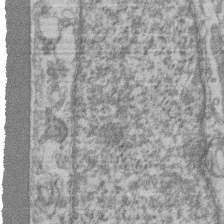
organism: Mouse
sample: T cell stromal cell synapse